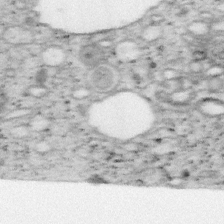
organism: Mouse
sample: OT-I killer T cells with ID8 ovarian cancer cells